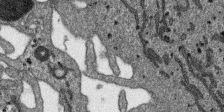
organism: Human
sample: Lung epithelial cells infected with SARS-CoV-2